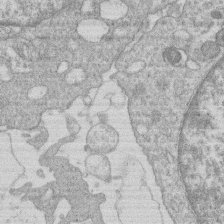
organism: Human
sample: Macrophage cells